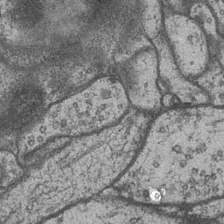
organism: Drosophila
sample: Optic medulla